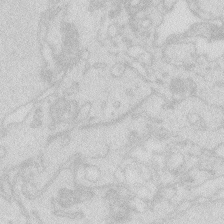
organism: Zebrafish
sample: Macrophage